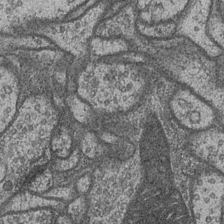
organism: Drosophila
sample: Optic medulla